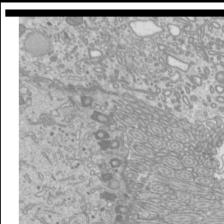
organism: Mouse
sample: Cilia; mouse epididymis